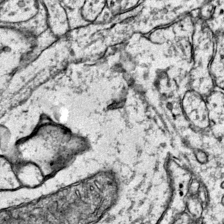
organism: Mouse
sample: Primary visual cortex